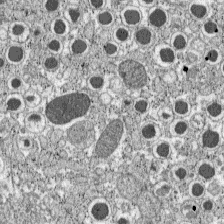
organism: C57BL Mouse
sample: Pancreatic islet